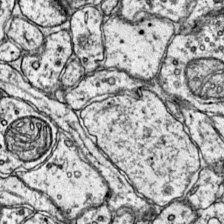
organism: Mouse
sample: Primary visual cortex